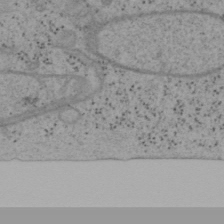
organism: Human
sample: HeLa cells